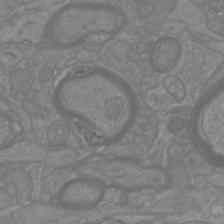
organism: Mouse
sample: Cortical neurons